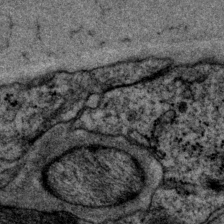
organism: P. pacificus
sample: Pharynx